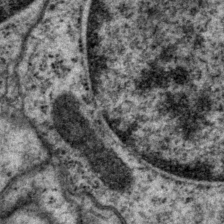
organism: P. pacificus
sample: Pharynx